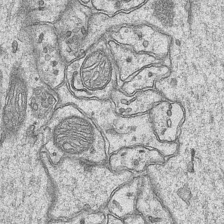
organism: Mouse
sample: CA1 Hippocampus